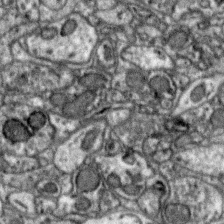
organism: Zebra finch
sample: Brain